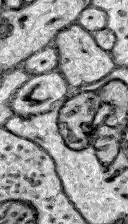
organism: Zebrafish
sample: Brain